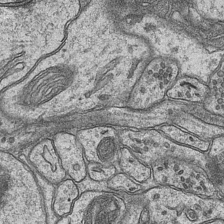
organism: Mouse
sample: CA1 Hippocampus